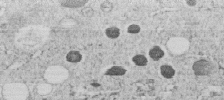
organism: C. elegans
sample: C. elegans embryo early stage